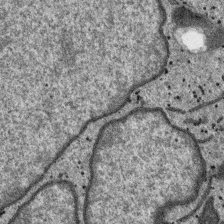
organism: Human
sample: Lung epithelial cells, uninfected (mock) control